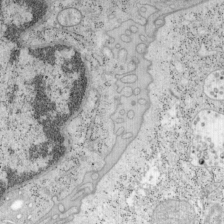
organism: Mouse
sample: OT-I killer T cells with ID8 ovarian cancer cells